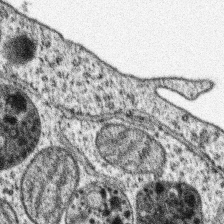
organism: Human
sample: HeLa cells